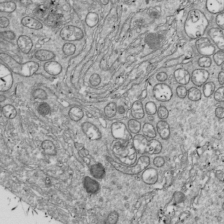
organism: Drosophila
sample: Cell division; meiosis; drosophila spermatocytes